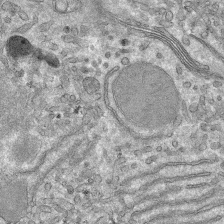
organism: Mouse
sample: Mouse hepatocytes